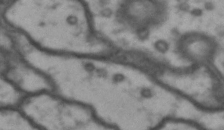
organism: Drosophila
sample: Brain